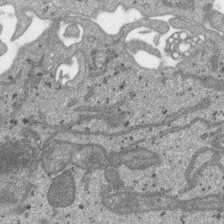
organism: Human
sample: Lung epithelial cells infected with SARS-CoV-2